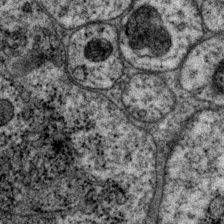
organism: P. pacificus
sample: Pharynx